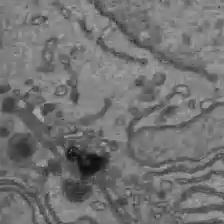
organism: C57BL Mouse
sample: Liver